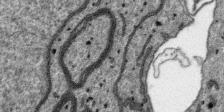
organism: Human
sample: Lung epithelial cells, uninfected (mock) control